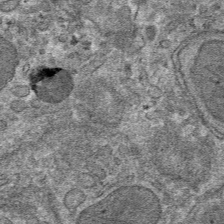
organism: Mouse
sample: Mouse hepatocytes